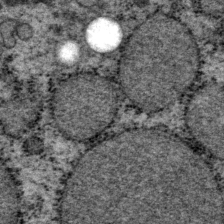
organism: P. pacificus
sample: Pharynx